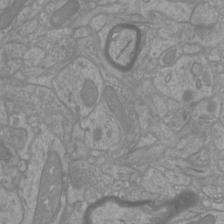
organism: Mouse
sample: Cortical neurons